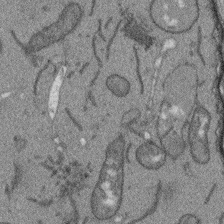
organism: Arabidopsis thaliana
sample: Root tip